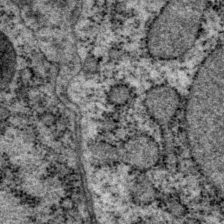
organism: P. pacificus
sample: Pharynx